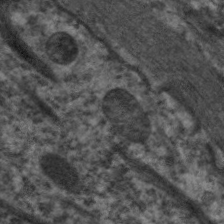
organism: C. elegans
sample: Pharynx